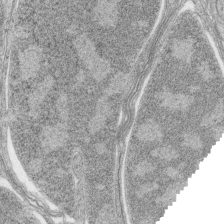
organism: Zebrafish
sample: synaptic ribbons in rod cells and cone cells